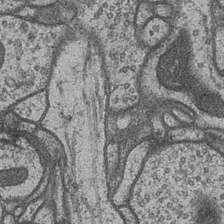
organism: Drosophila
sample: Optic medulla